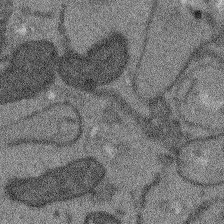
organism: Arabidopsis thaliana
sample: Root tip